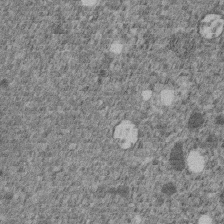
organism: C. elegans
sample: C. elegans embryo early stage